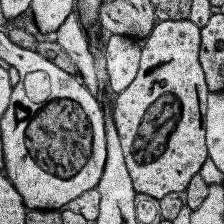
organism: Human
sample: Temporal Lobe